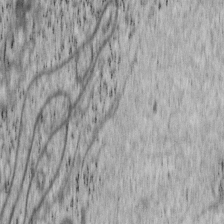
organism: Human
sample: HeLa cells